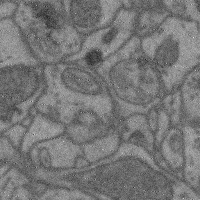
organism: Mouse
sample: Cerebral cortex